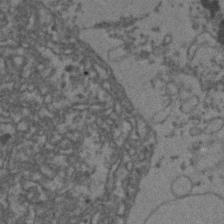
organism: Zebrafish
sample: Zebrafish embryo